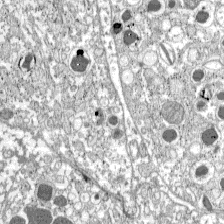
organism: C57BL Mouse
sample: Pancreatic islet